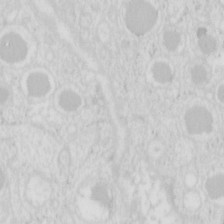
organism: Mouse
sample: Pancreas